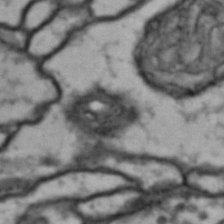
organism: Drosophila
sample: Brain